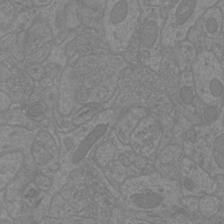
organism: Mouse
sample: Cortical neurons